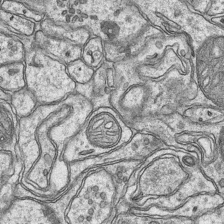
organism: Mouse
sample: CA1 Hippocampus